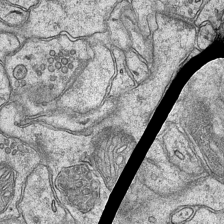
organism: Mouse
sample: CA1 Hippocampus